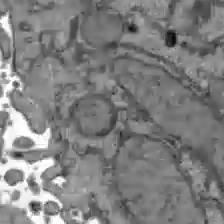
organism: C57BL Mouse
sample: Liver